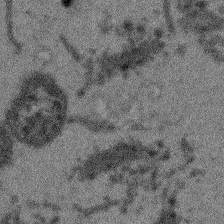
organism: Arabidopsis thaliana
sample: Root tip